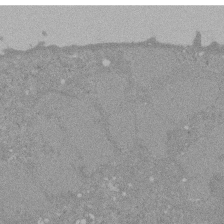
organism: Mouse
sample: ED-1 cell nuclei; centrioles